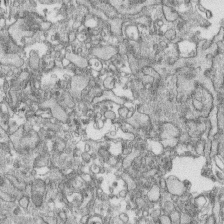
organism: Human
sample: CRL-1474